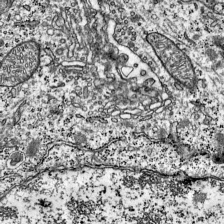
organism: Mouse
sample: Visual Cortex